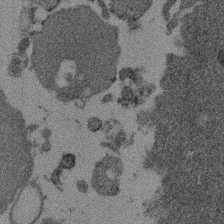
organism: Mouse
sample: Dividing mouse embryo 1 cell stage